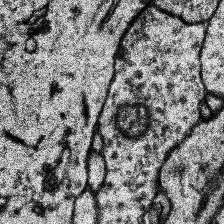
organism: Human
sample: Temporal Lobe